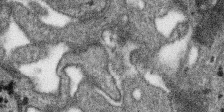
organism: Human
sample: Lung epithelial cells infected with SARS-CoV-2